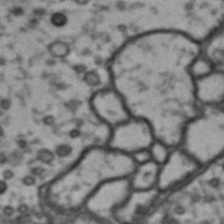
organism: Drosophila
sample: Brain